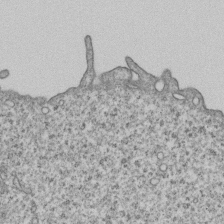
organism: Human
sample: MDA-MB-231 cells